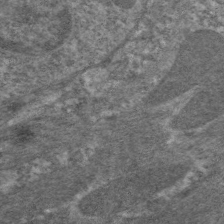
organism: C. elegans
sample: Pharynx